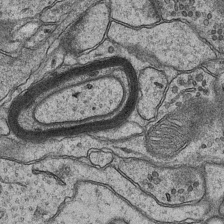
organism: Mouse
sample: CA1 Hippocampus